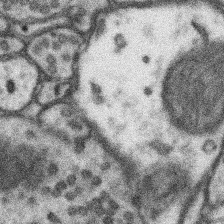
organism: Mouse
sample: Somatosensory cortex neuropil